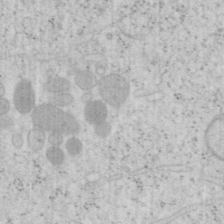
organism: Human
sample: HeLa cells